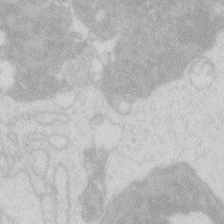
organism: Zebrafish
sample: Macrophage